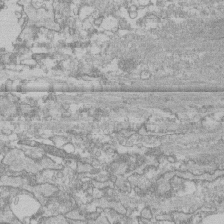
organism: Human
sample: CRL-1474